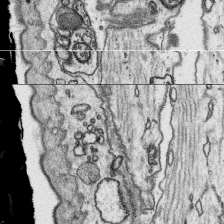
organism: Platynereis dumerilii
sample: Parapodia